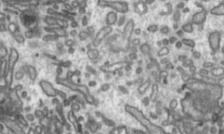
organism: Toxoplasma gondii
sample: Parasites in a vacuole inside a host cell